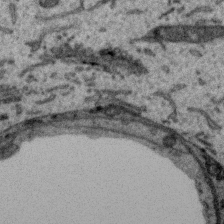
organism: Zebra finch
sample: Brain